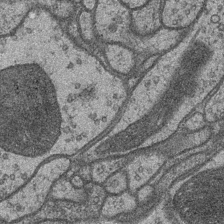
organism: Drosophila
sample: Optic medulla